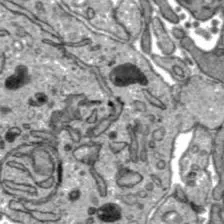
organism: C57BL Mouse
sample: Liver